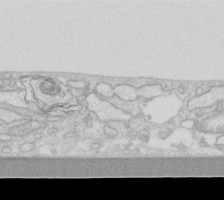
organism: Human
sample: Fibroblast cells